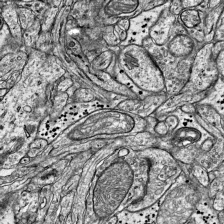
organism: Mouse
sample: Visual Cortex